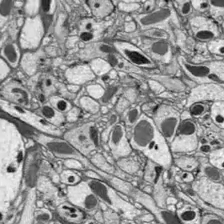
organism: Drosophila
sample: Optic lobe